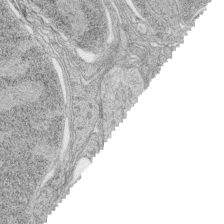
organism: Zebrafish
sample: synaptic ribbons in rod cells and cone cells